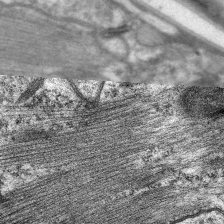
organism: C. elegans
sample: Pharynx